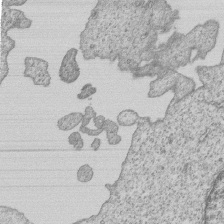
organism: Human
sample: MDA-MB-231 cells